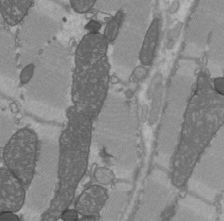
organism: C57BL Mouse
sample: Heart